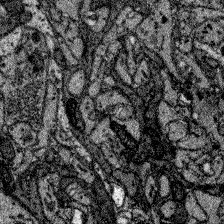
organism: Zebrafish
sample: Larval olfactory bulb